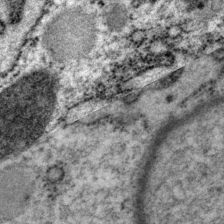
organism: P. pacificus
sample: Pharynx